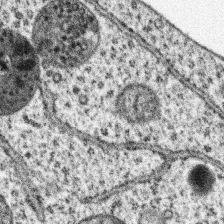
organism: Human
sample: HeLa cells